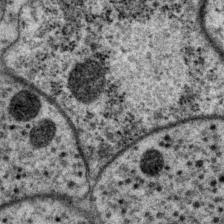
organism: P. pacificus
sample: Pharynx